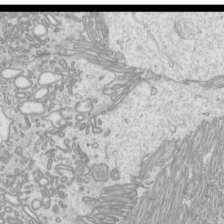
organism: Mouse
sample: Cilia; mouse epididymis